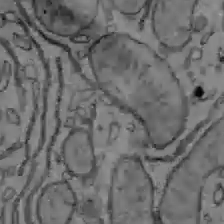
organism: C57BL Mouse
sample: Liver